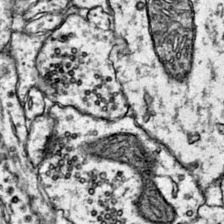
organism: Mouse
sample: Primary visual cortex